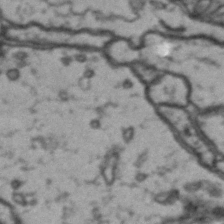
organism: Drosophila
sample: Brain